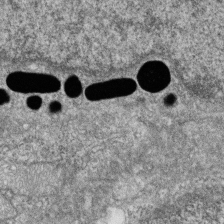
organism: Zebrafish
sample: Cilia; retinal pigment epithelium